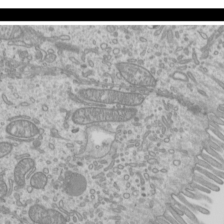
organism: Mouse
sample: Cilia; mouse epididymis